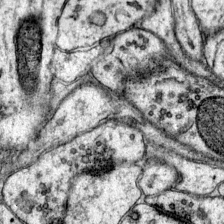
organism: Mouse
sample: Primary visual cortex